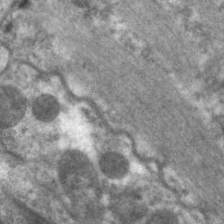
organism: C. elegans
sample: Pharynx